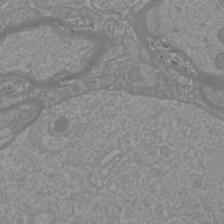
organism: Mouse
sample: Cortical neurons